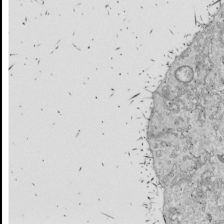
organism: Drosophila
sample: Cell division; meiosis; drosophila spermatocytes